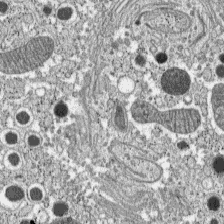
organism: C57BL Mouse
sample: Pancreatic islet